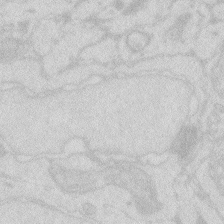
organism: Zebrafish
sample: Macrophage